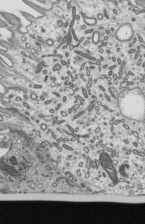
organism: Mouse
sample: Mouse epididymis efferent ductule cilia